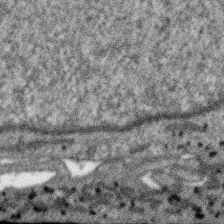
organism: Human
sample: Lung epithelial cells infected with SARS-CoV-2